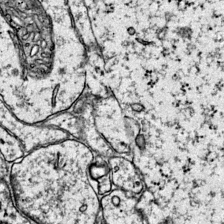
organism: Mouse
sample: Primary visual cortex